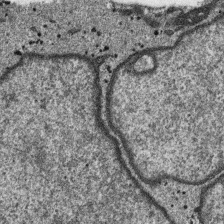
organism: Human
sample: Lung epithelial cells infected with SARS-CoV-2